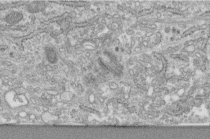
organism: Human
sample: Centriole in fibroblast cells